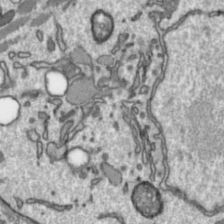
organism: Toxoplasma gondii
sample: Parasites in a vacuole inside a host cell